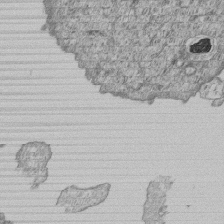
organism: Human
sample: MDA-MB-231 cells